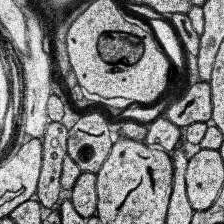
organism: Human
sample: Temporal Lobe